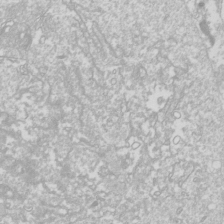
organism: Drosophila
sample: Cell division; meiosis; drosophila spermatocytes